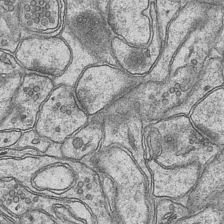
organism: Mouse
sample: CA1 Hippocampus